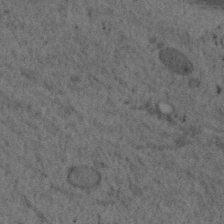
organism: Human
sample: HeLa cells